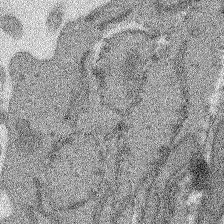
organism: Human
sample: HeLa cells